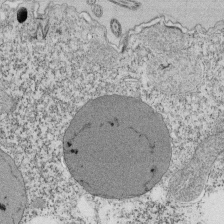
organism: Tetrahymena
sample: Cilia in tetrahymena